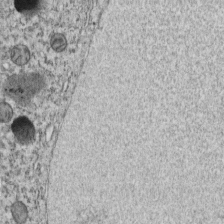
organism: C. elegans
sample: C. elegans embryo early stage